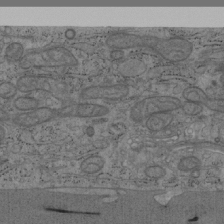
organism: Human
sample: HeLa cells